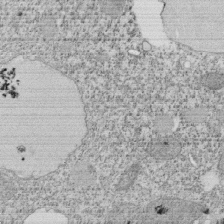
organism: Tetrahymena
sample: Cilia in tetrahymena